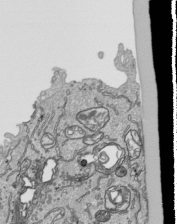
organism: Human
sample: Mitochondria in HCT116 cells